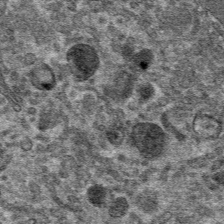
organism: Mouse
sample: Mouse hepatocytes